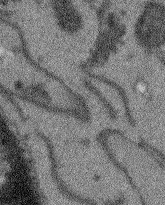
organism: Arabidopsis thaliana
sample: Root tip